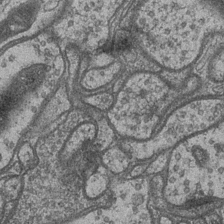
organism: Drosophila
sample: Optic medulla